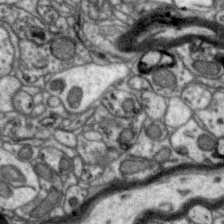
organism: Zebra finch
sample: Brain